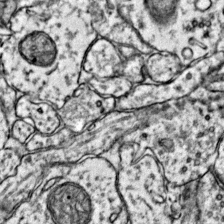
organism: Mouse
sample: Primary visual cortex